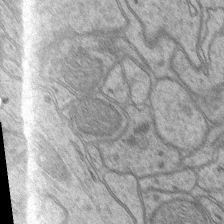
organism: Mouse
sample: CA1 Hippocampus